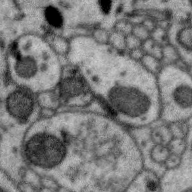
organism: Zebra finch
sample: Brain